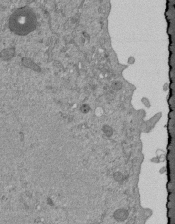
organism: Mouse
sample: ED-1 cell nuclei; centrioles